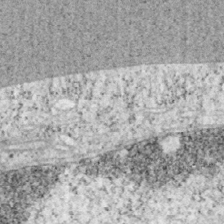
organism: Mouse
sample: OT-I killer T cells with ID8 ovarian cancer cells